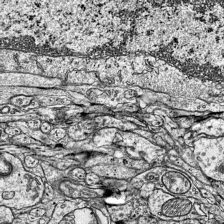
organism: Mouse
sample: Visual Cortex